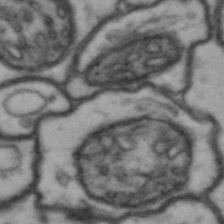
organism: Drosophila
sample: Brain